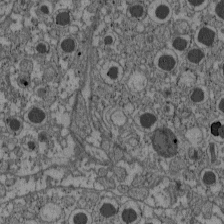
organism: C57BL Mouse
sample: Pancreatic islet